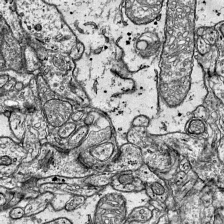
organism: Mouse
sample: Visual Cortex